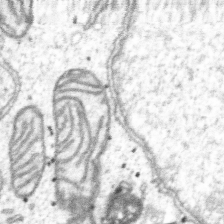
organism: Human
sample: HeLa cells